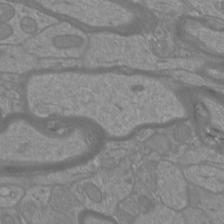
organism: Mouse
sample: Cortical neurons